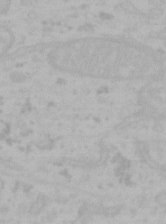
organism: Mouse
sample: Choroid plexus